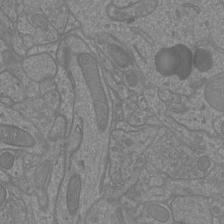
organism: Mouse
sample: Cortical neurons